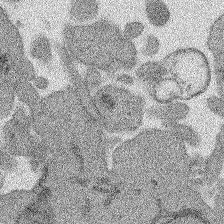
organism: Human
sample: HeLa cells